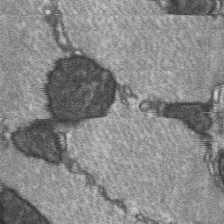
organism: C57BL Mouse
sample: Soleus